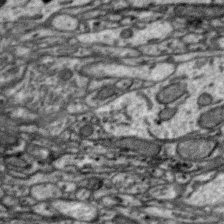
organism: Zebra finch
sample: Brain